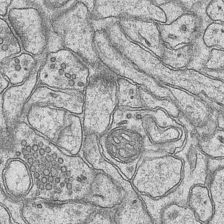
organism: Mouse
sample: CA1 Hippocampus